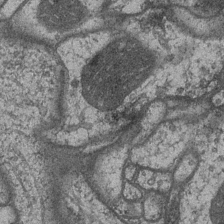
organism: Drosophila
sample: Optic medulla